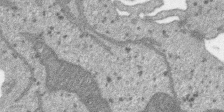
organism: Human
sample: Lung epithelial cells infected with SARS-CoV-2